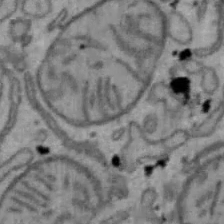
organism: Mouse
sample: Liver